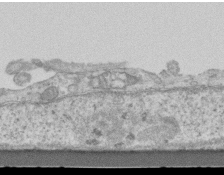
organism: Mouse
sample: Centriole in ependymal cells